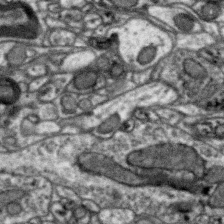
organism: Zebra finch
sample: Brain